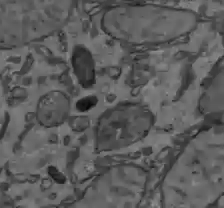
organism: C57BL Mouse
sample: Liver